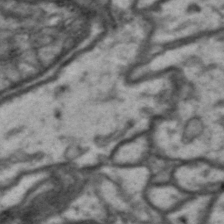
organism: Drosophila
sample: Brain